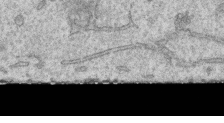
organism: Human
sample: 1205lu cells